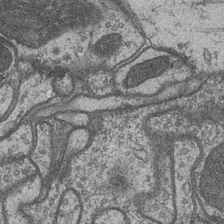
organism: Drosophila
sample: Optic medulla